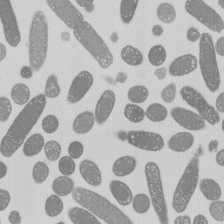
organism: E. coli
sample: Bacterial nucleoid